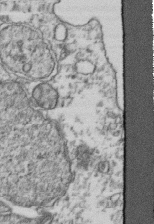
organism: Human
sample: Activated Jurkat CD4+ T cells